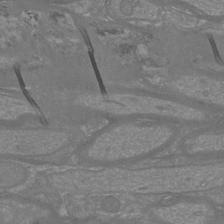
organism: Mouse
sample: Cortical neurons